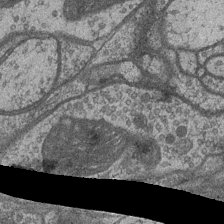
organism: Drosophila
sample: Optic medulla